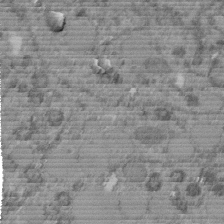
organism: C. elegans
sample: C. elegans embryo early stage